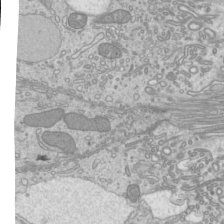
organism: Mouse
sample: Cilia; mouse epididymis